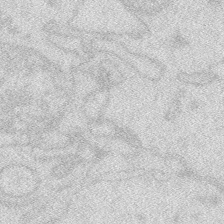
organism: Zebrafish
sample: Macrophage